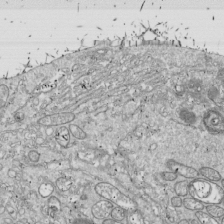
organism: Drosophila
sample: Cell division; meiosis; drosophila spermatocytes